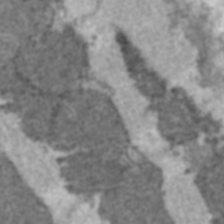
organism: C57BL Mouse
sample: Heart